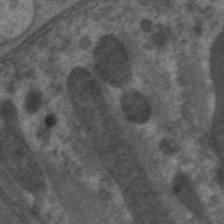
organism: C. elegans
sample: Pharynx